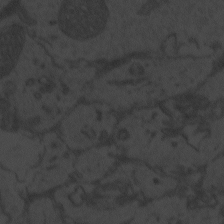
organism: Zebrafish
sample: Macrophage infected with Toxoplasma gondii